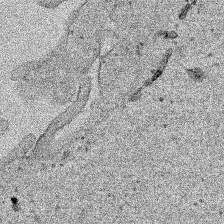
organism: Human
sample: Mitochondria in HCT116 cells